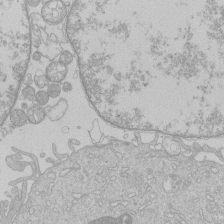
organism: Human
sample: Macrophage cells